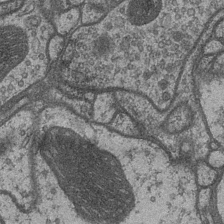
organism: Drosophila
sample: Optic medulla